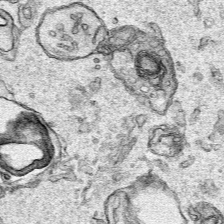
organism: Human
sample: Mitochondria in HCT116 cells